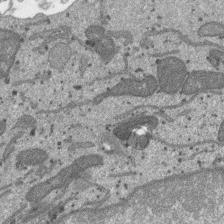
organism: Human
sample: Lung epithelial cells infected with SARS-CoV-2